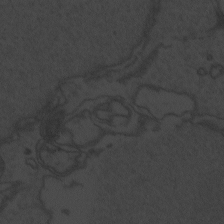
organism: Zebrafish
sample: Macrophage infected with Toxoplasma gondii